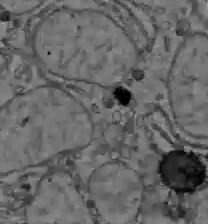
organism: C57BL Mouse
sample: Liver